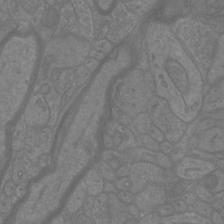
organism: Mouse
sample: Cortical neurons